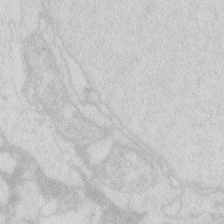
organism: Zebrafish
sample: Macrophage